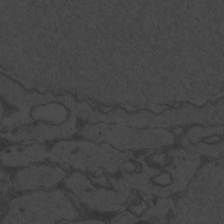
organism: Zebrafish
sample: Macrophage infected with Toxoplasma gondii